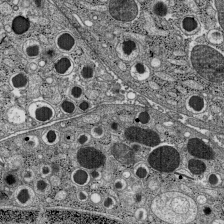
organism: C57BL Mouse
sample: Pancreatic islet